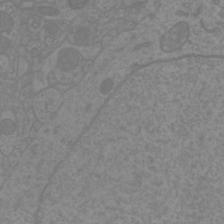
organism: Mouse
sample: Cortical neurons